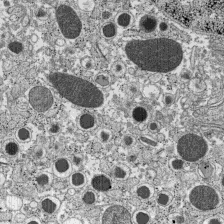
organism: C57BL Mouse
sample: Pancreatic islet